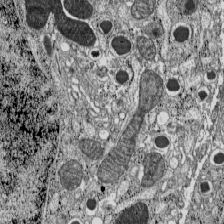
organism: C57BL Mouse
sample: Pancreatic islet